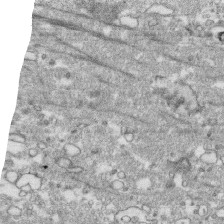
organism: Human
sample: CRL-1474